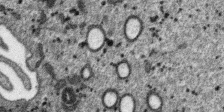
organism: Human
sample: Lung epithelial cells infected with SARS-CoV-2